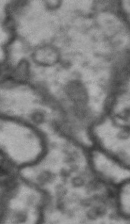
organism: Drosophila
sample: Brain